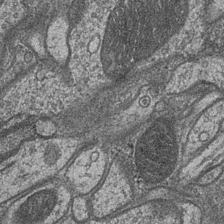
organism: Drosophila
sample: Optic medulla